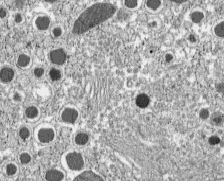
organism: C57BL Mouse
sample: Pancreatic islet